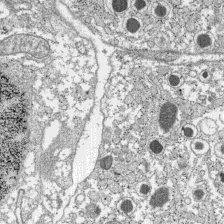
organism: C57BL Mouse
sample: Pancreatic islet